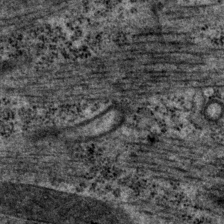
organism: P. pacificus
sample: Pharynx